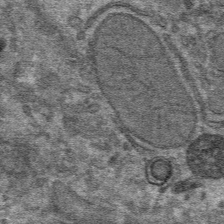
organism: Mouse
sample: Mouse hepatocytes